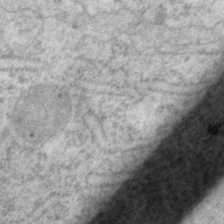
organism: P. pacificus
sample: Pharynx